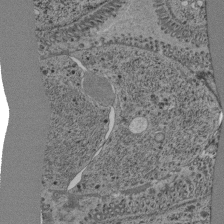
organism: C. elegans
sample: C. elegans pharynx